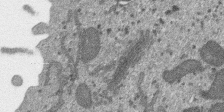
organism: Human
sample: Lung epithelial cells infected with SARS-CoV-2